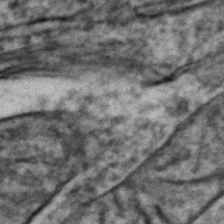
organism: Zebrafish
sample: Zebrafish embryo